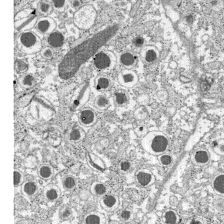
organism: C57BL Mouse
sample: Pancreatic islet